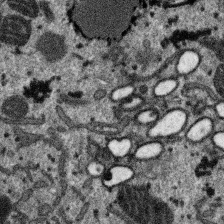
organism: Human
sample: Lung epithelial cells infected with SARS-CoV-2